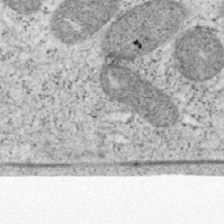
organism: Mouse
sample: OT-I killer T cells with ID8 ovarian cancer cells